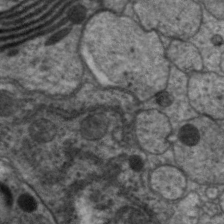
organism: C. elegans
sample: Pharynx